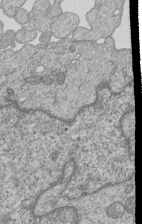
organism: Human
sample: MDA-MB-231 cells